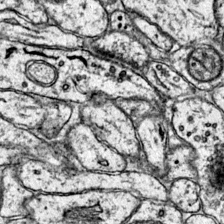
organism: Mouse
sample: Primary visual cortex